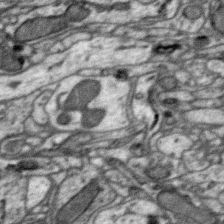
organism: Zebra finch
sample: Brain